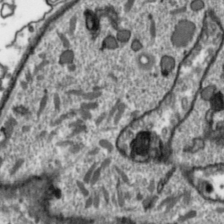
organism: Toxoplasma gondii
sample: Parasites in a vacuole inside a host cell